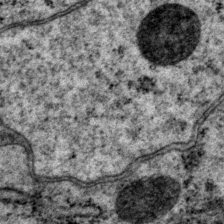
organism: P. pacificus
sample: Pharynx